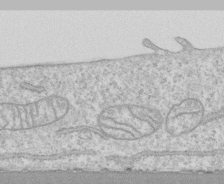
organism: Human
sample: CRL-1474